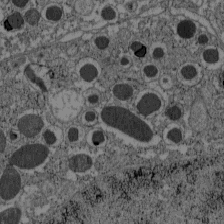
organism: C57BL Mouse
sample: Pancreatic islet